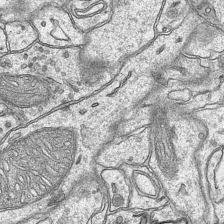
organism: Mouse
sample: CA1 Hippocampus